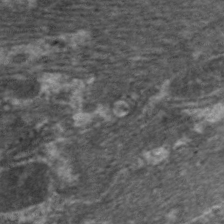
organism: C. elegans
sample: Pharynx